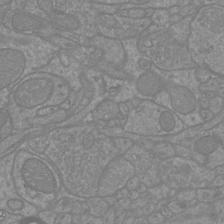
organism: Mouse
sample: Cortical neurons